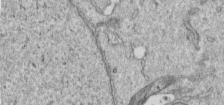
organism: Human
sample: Centriole in RPE cells